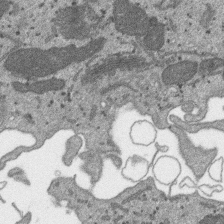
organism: Human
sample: Lung epithelial cells infected with SARS-CoV-2